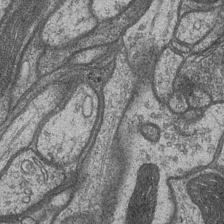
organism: Drosophila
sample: Optic medulla